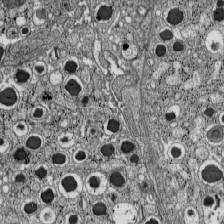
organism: C57BL Mouse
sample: Pancreatic islet